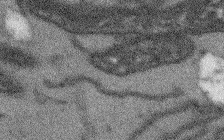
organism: Arabidopsis thaliana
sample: Root tip